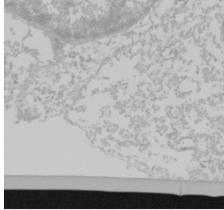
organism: Mouse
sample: Cancer cell death in ED-1 cells